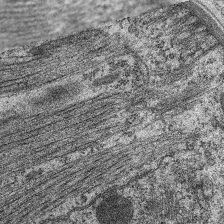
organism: C. elegans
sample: Pharynx